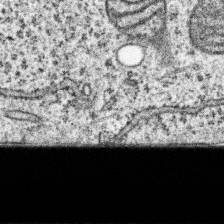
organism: Human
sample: HeLa cells